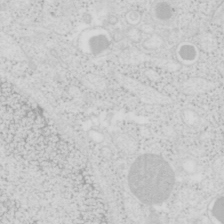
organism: Mouse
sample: Pancreas